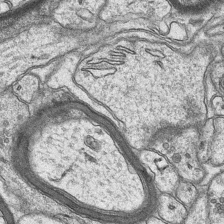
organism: Mouse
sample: CA1 Hippocampus